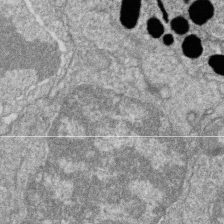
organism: Zebrafish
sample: Cilia; retinal pigment epithelium